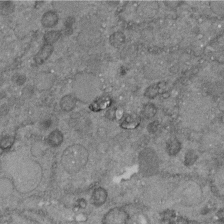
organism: C. elegans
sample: C. elegans embryo early stage